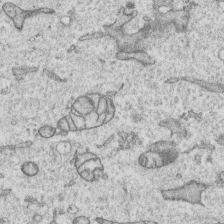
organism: Human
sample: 1205lu cells